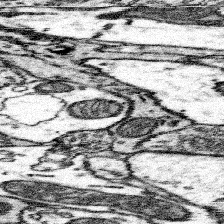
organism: Mouse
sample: Somatosensory cortex neuropil